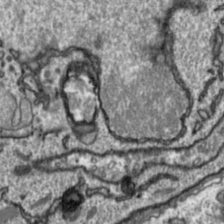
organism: Toxoplasma gondii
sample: Parasites in a vacuole inside a host cell